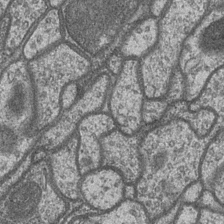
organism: Drosophila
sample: Optic medulla